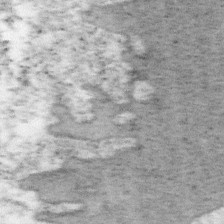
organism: Mouse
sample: OT-I killer T cells with ID8 ovarian cancer cells